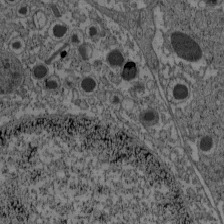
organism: C57BL Mouse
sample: Pancreatic islet